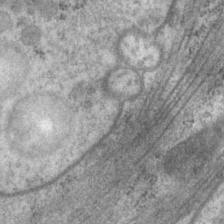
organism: P. pacificus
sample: Pharynx